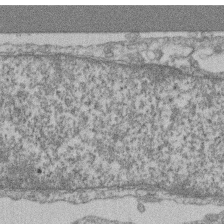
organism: Mouse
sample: T cell stromal cell synapse